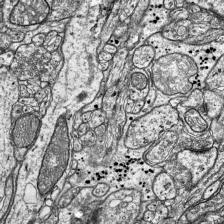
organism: Mouse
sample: Visual Cortex